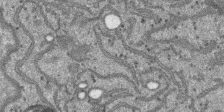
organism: Human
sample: Lung epithelial cells infected with SARS-CoV-2